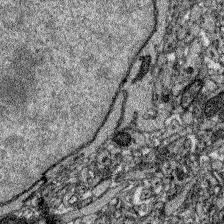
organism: Zebrafish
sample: Larval olfactory bulb